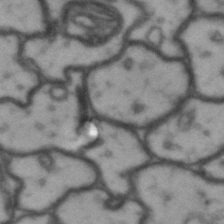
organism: Drosophila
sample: Brain